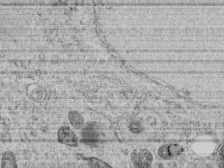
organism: C. elegans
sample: C. elegans embryo early stage